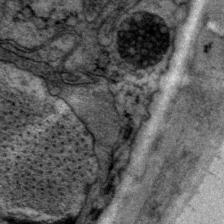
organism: P. pacificus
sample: Pharynx